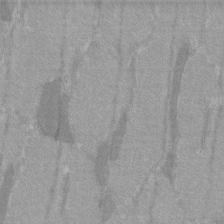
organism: C57BL Mouse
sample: Tibialis anterior muscle cell